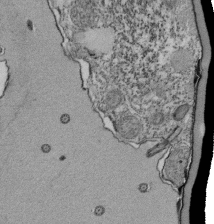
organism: Tetrahymena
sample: Cilia in tetrahymena